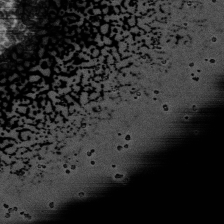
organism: Human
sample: Activated Jurkat CD4+ T cells